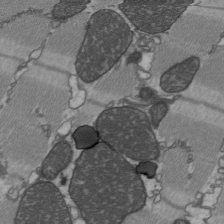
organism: C57BL Mouse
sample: Heart